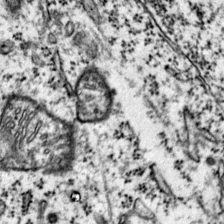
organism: Mouse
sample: Primary visual cortex